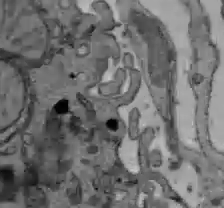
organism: C57BL Mouse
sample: Liver